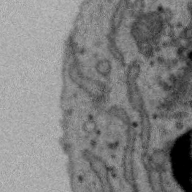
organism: Zebra finch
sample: Brain